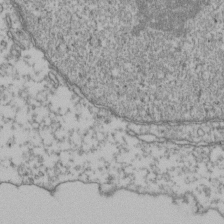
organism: Human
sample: Activated Jurkat CD4+ T cells